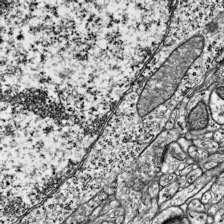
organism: Mouse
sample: Visual Cortex